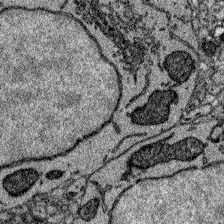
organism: Zebrafish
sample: Larval olfactory bulb